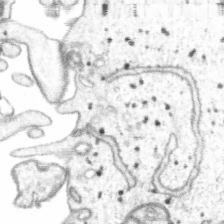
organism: Human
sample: HeLa cells